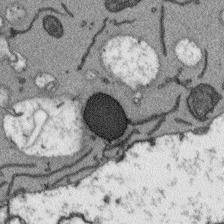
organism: Arabidopsis thaliana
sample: Root tip